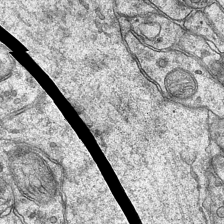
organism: Mouse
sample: CA1 Hippocampus